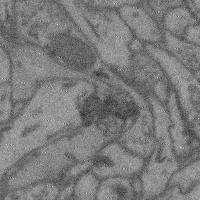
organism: Mouse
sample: Cerebral cortex